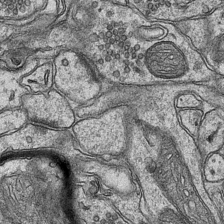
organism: Mouse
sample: CA1 Hippocampus